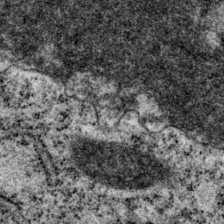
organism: P. pacificus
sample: Pharynx